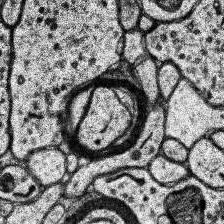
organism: Human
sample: Temporal Lobe